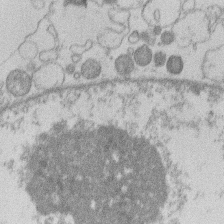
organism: Human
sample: Macrophage cells